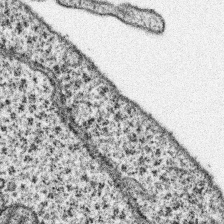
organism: Human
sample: HeLa cells